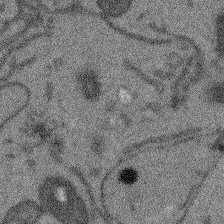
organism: Arabidopsis thaliana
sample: Root tip